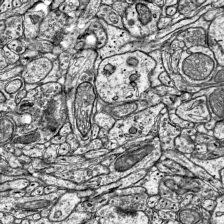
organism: Mouse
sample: Visual Cortex